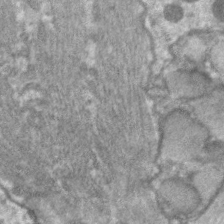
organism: C. elegans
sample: Pharynx